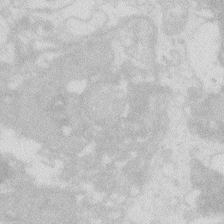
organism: Zebrafish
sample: Macrophage